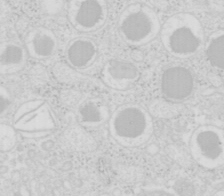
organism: Mouse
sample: Pancreas